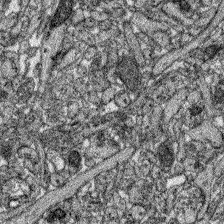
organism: Zebrafish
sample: Larval olfactory bulb